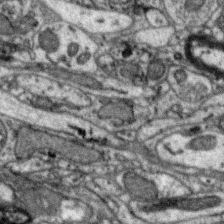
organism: Zebra finch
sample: Brain